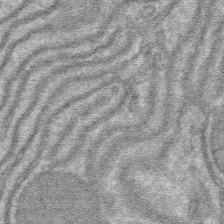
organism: Mouse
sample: Mouse hepatocytes